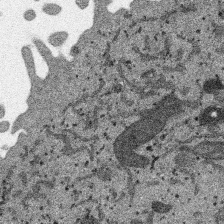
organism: Human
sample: Lung epithelial cells infected with SARS-CoV-2